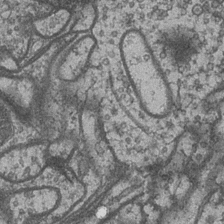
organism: Drosophila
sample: Optic medulla